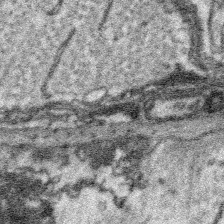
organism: Platynereis dumerilii